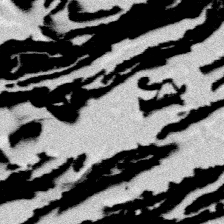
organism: Platynereis dumerilii